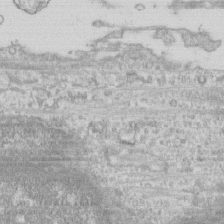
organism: Human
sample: CRL-1474